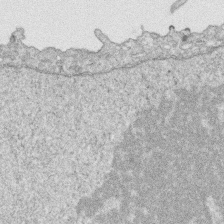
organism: Human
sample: HeLa cell HIV synapse